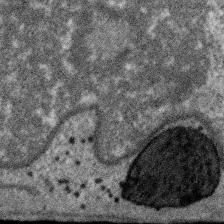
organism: Human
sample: Lung epithelial cells infected with SARS-CoV-2